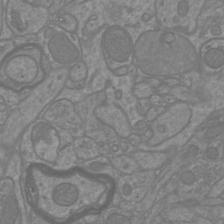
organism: Mouse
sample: Cortical neurons